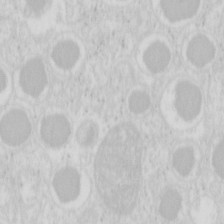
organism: Mouse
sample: Pancreas